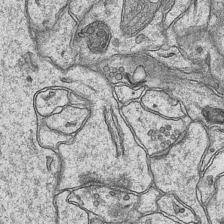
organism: Mouse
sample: CA1 Hippocampus